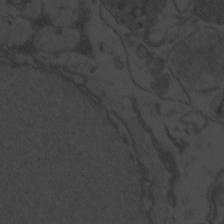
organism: Zebrafish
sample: Macrophage infected with Toxoplasma gondii